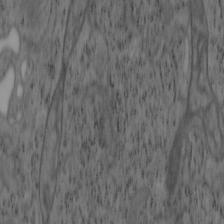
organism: Human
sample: HeLa cells